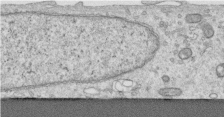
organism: Human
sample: Centriole in RPE cells